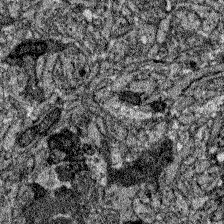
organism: Zebrafish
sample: Larval olfactory bulb